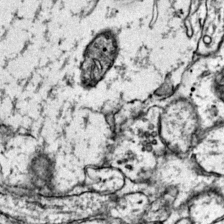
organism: Mouse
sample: Primary visual cortex